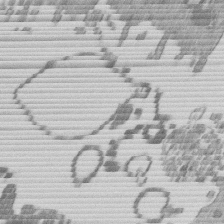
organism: Mouse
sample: Dividing mouse embryo 1 cell stage